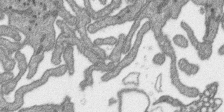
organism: Human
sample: Lung epithelial cells infected with SARS-CoV-2